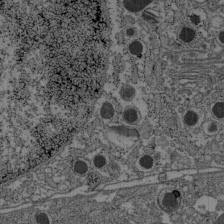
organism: C57BL Mouse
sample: Pancreatic islet